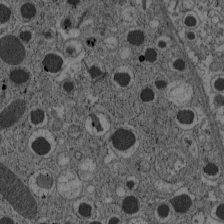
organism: C57BL Mouse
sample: Pancreatic islet